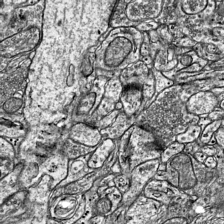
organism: Mouse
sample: Visual Cortex